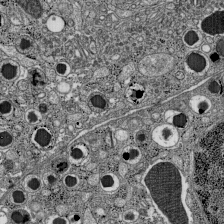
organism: C57BL Mouse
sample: Pancreatic islet